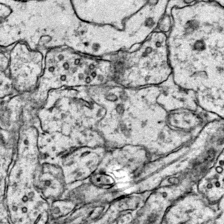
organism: Mouse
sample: Primary visual cortex